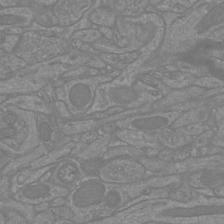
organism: Mouse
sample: Cortical neurons